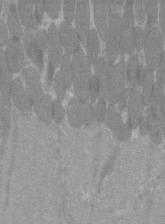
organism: C57BL Mouse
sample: Tibialis anterior muscle cell